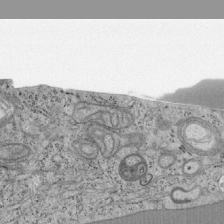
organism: Human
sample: HeLa cells